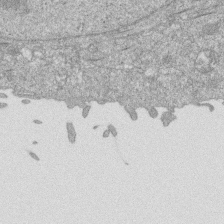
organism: Human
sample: HeLa cell HIV synapse